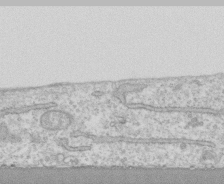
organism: Human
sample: CRL-1474